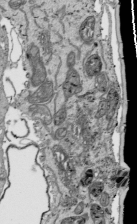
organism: Human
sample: Mitochondria in HCT116 cells